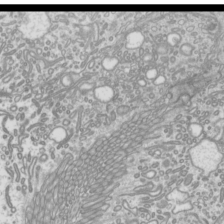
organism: Mouse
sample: Cilia; mouse epididymis